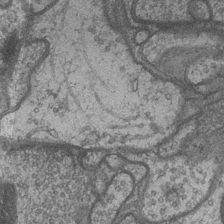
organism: Drosophila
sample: Optic medulla